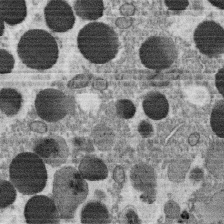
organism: C. elegans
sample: C. elegans oocyte; sperm cells